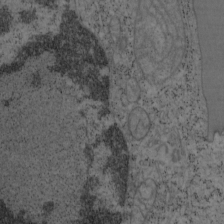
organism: Mouse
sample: OT-I killer T cells with ID8 ovarian cancer cells